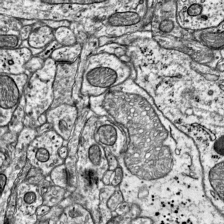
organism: Mouse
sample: Visual Cortex